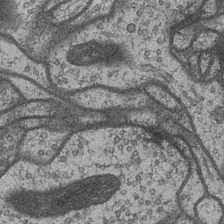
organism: Drosophila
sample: Optic medulla